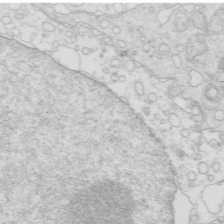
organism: Mouse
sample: Multiciliated cells